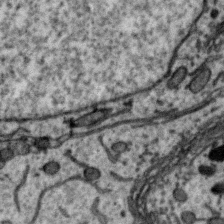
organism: Zebra finch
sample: Brain